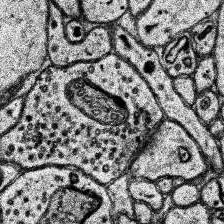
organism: Human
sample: Temporal Lobe